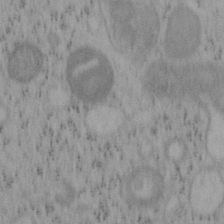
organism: Mouse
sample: OT-I killer T cells with ID8 ovarian cancer cells